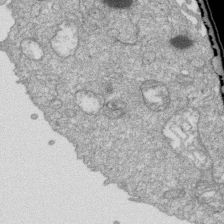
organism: Human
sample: HeLa cell HIV synapse